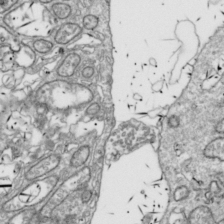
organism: Drosophila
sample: Cell division; meiosis; drosophila spermatocytes